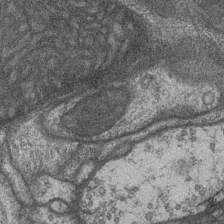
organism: Drosophila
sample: Optic medulla